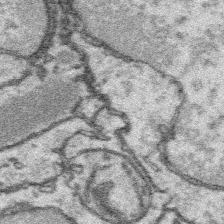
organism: Platynereis dumerilii